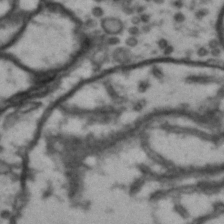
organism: Drosophila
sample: Brain